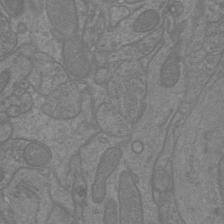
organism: Mouse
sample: Cortical neurons